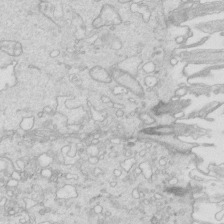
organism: Mouse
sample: Multiciliated cells